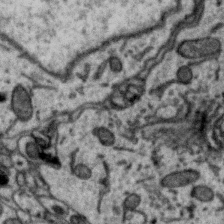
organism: Zebra finch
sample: Brain